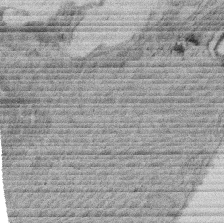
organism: Rat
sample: Salivary granule